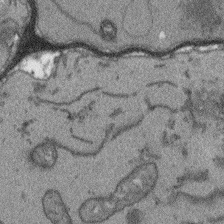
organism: Arabidopsis thaliana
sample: Root tip